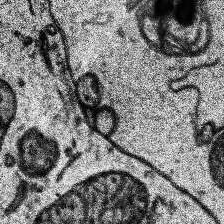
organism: Human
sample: Temporal Lobe